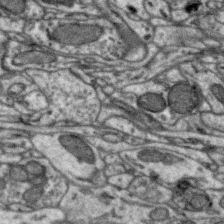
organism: Zebra finch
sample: Brain